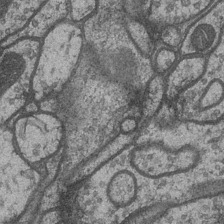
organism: Drosophila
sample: Optic medulla